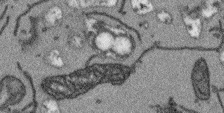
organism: Arabidopsis thaliana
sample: Root tip